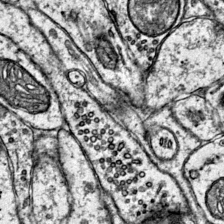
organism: Mouse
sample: Primary visual cortex